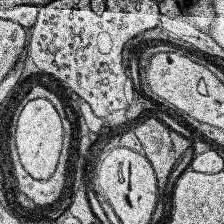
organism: Human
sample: Temporal Lobe